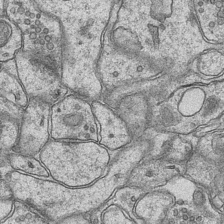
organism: Mouse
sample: CA1 Hippocampus